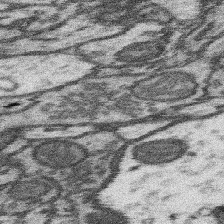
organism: Mouse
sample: Somatosensory cortex neuropil